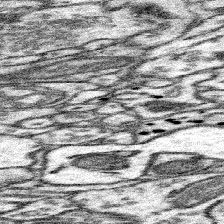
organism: Mouse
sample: Somatosensory cortex neuropil